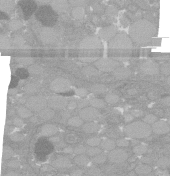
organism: C. elegans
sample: C. elegans oocyte; sperm cells